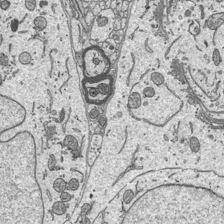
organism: Mouse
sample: Suprachiasmatic nucleus